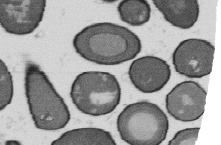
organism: B. subtilis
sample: Bacterial spore